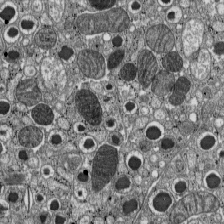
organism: C57BL Mouse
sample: Pancreatic islet